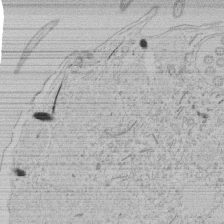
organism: Tetrahymena